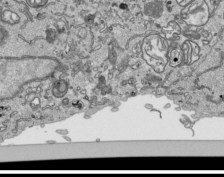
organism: Human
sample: Mitochondria in HCT116 cells